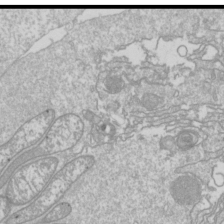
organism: Drosophila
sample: Cell division; meiosis; drosophila spermatocytes